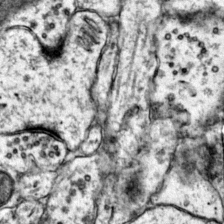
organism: Mouse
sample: Primary visual cortex